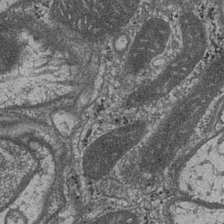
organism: Drosophila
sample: Optic medulla